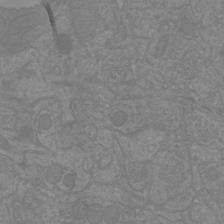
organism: Mouse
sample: Cortical neurons